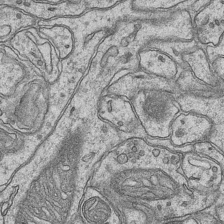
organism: Mouse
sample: CA1 Hippocampus